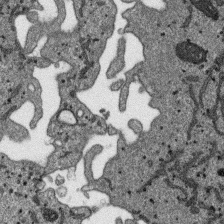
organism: Human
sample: Lung epithelial cells infected with SARS-CoV-2